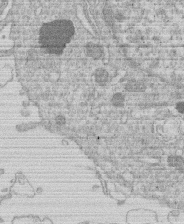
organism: Human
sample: Macrophage cells